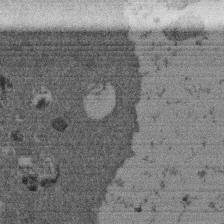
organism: Mouse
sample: Dividing mouse embryo 1 cell stage